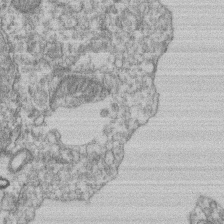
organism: Mouse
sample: T cell stromal cell synapse